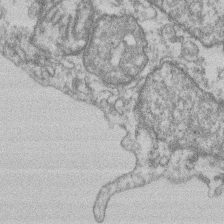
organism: Mouse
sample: T cell stromal cell synapse